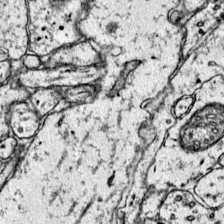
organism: Mouse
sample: Primary visual cortex